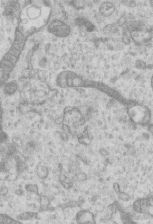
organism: Mouse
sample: Centriole in ependymal cells